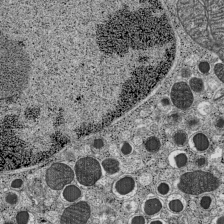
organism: C57BL Mouse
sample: Pancreatic islet